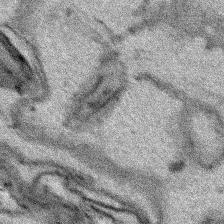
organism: Human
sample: Mitochondria in HCT116 cells